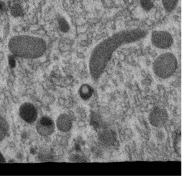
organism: C. elegans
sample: C. elegans oocyte; sperm cells